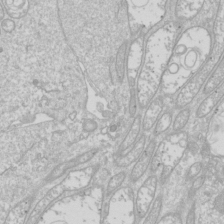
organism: Drosophila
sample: Cell division; meiosis; drosophila spermatocytes